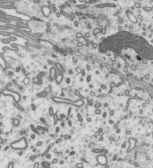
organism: Mouse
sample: Mouse epididymis efferent ductule cilia